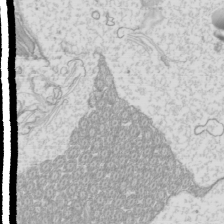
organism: Mouse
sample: Cilia; mouse epididymis